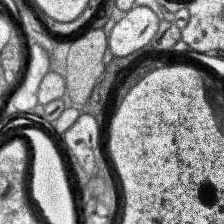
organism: Human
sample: Temporal Lobe